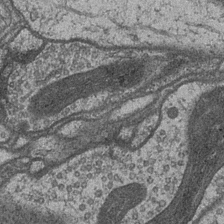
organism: Drosophila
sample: Optic medulla